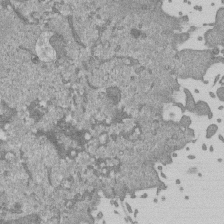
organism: Mouse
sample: ED-1 cell nuclei; centrioles